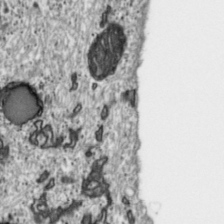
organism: Toxoplasma gondii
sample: Parasites in a vacuole inside a host cell